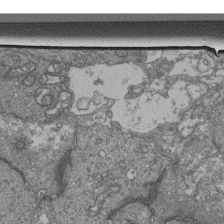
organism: Human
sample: Retinal organoid Rod and Cone cells